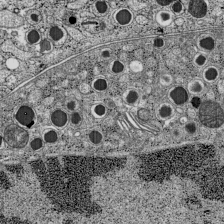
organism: C57BL Mouse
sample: Pancreatic islet